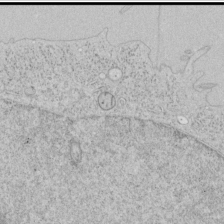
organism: Human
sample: Mitochondria in HCT116 cells